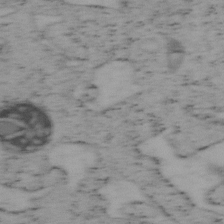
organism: Mouse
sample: OT-I killer T cells with ID8 ovarian cancer cells